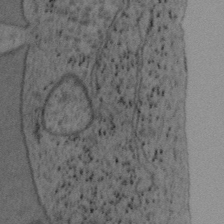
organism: Human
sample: HeLa cells